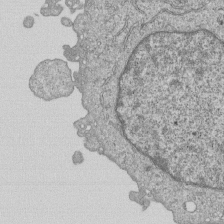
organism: Human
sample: MDA-MB-231 cells